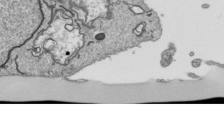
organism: Human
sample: Mitochondria in HCT116 cells